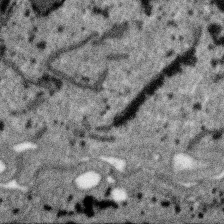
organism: Human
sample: Lung epithelial cells infected with SARS-CoV-2